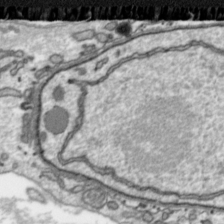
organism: Toxoplasma gondii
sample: Parasites in a vacuole inside a host cell